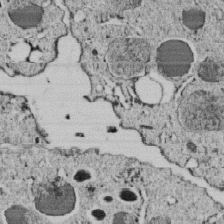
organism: C. elegans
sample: C. elegans embryo early stage